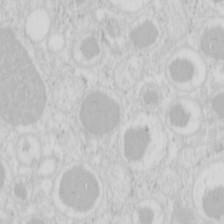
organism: Mouse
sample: Pancreas